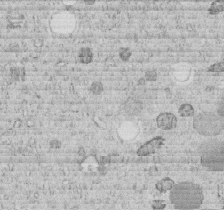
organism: C. elegans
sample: C. elegans embryo early stage